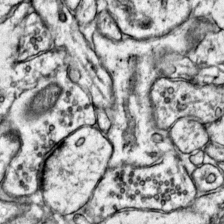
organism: Mouse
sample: Primary visual cortex